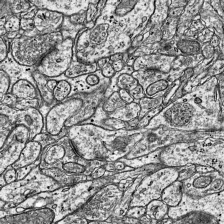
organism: Mouse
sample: Visual Cortex